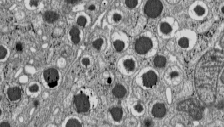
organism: C57BL Mouse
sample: Pancreatic islet